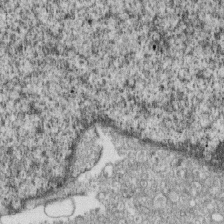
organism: African green monkey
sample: Vero E6 cells infected with SARS-CoV-2